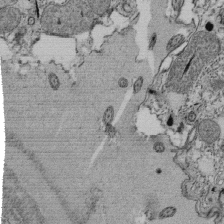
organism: Tetrahymena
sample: Cilia in tetrahymena